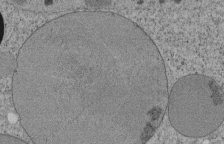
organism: Tetrahymena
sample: Cilia in tetrahymena